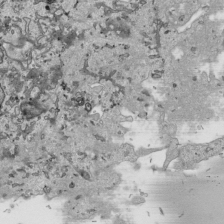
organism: Human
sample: Mitochondria in HCT116 cells